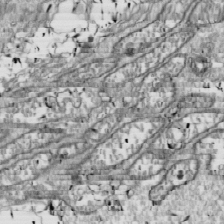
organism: Drosophila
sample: Cell division; meiosis; drosophila spermatocytes